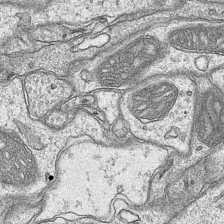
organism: Mouse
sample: CA1 Hippocampus